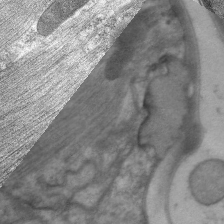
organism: C. elegans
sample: Pharynx